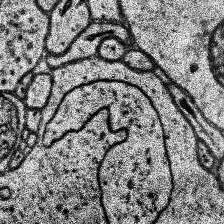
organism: Human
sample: Temporal Lobe